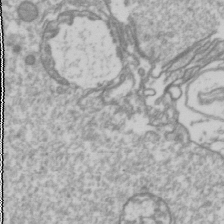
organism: Drosophila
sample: Cell division; meiosis; drosophila spermatocytes